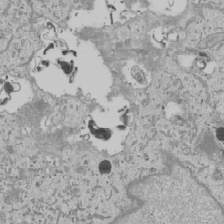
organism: Human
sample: Mitochondria in U2OS cells